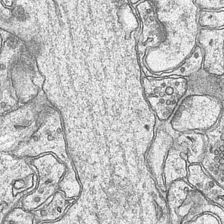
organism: Mouse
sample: CA1 Hippocampus